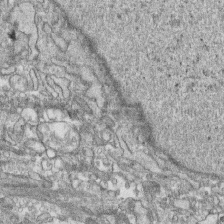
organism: Human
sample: CRL-1474